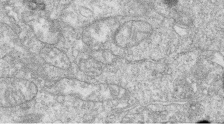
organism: Human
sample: HeLa cell HIV synapse